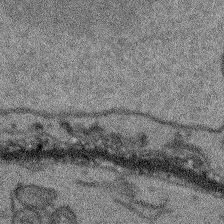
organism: Arabidopsis thaliana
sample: Root tip